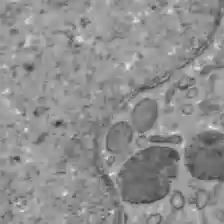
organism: C57BL Mouse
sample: Liver